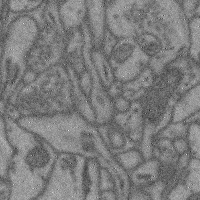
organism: Mouse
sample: Cerebral cortex